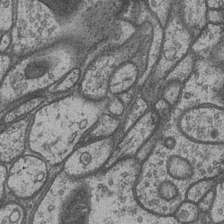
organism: Drosophila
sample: Optic medulla